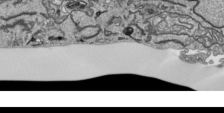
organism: Human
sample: Mitochondria in HCT116 cells